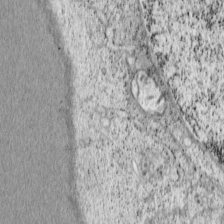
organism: African green monkey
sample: COS-7 cells